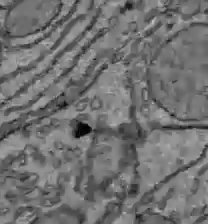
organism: C57BL Mouse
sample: Liver